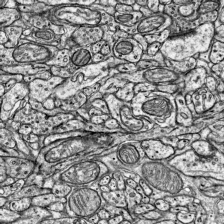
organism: Mouse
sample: Visual Cortex